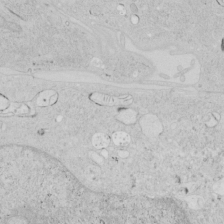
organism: Human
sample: Mitochondria in HCT116 cells